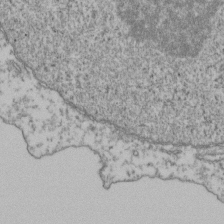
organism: Human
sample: Activated Jurkat CD4+ T cells